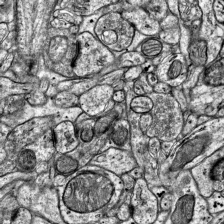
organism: Mouse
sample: Visual Cortex